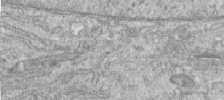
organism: Human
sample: Centriole in RPE cells